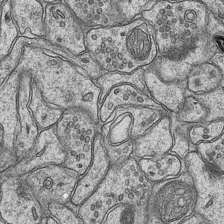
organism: Mouse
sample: CA1 Hippocampus